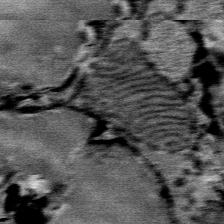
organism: Mouse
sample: Mouse Salivary gland